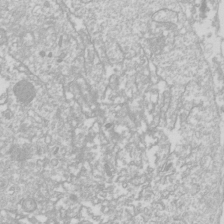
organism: Drosophila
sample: Cell division; meiosis; drosophila spermatocytes